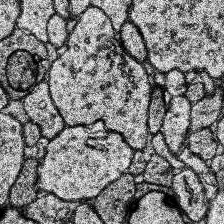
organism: Human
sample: Temporal Lobe